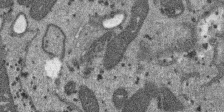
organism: Human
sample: Lung epithelial cells infected with SARS-CoV-2